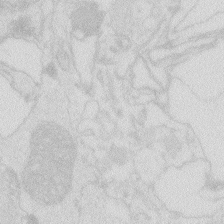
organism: Zebrafish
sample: Macrophage